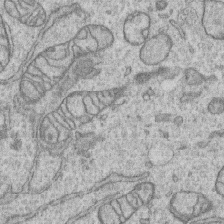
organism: Human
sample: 1205lu cells